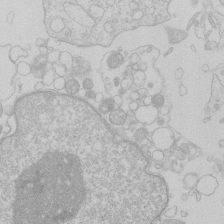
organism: Human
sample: Macrophage cells